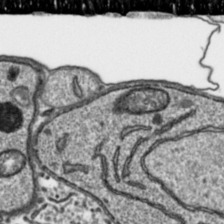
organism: Toxoplasma gondii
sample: Parasites in a vacuole inside a host cell